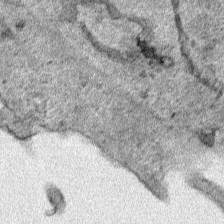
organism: Human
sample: Mitochondria in HCT116 cells